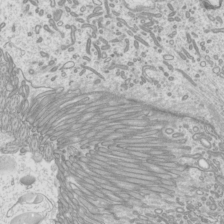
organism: Mouse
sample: Cilia; mouse epididymis